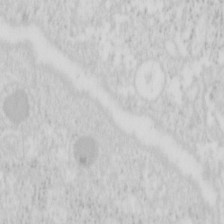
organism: Mouse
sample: Pancreas